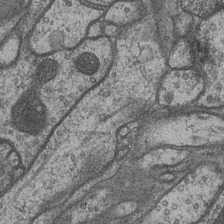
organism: Drosophila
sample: Optic medulla